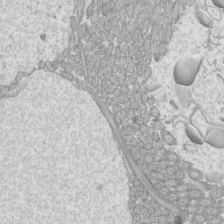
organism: Mouse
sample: Cilia; mouse epididymis